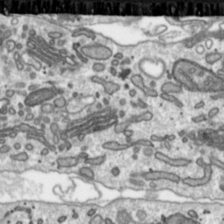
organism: Toxoplasma gondii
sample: Parasites in a vacuole inside a host cell